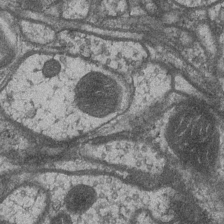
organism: Drosophila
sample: Optic medulla